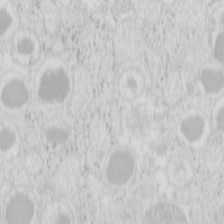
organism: Mouse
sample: Pancreas